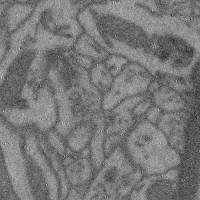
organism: Mouse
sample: Cerebral cortex